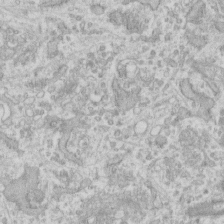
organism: Human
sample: Fibroblast cells